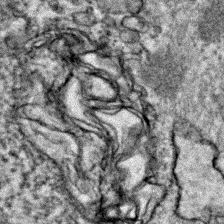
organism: Zebrafish